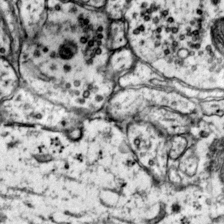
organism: Mouse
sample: Primary visual cortex